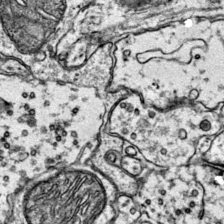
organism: Mouse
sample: Primary visual cortex